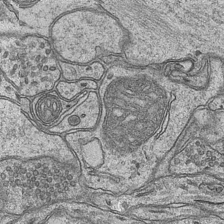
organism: Mouse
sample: CA1 Hippocampus